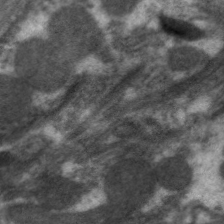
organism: C. elegans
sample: Pharynx